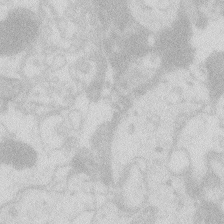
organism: Zebrafish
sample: Macrophage